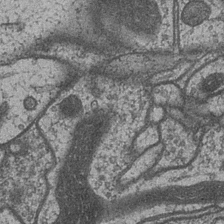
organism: Drosophila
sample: Optic medulla